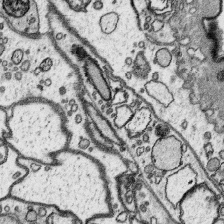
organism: Platynereis dumerilii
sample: Parapodia